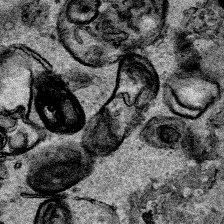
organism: Human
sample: Mitochondria in HCT116 cells